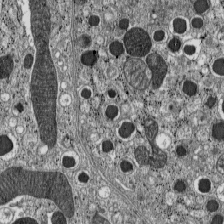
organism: C57BL Mouse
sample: Pancreatic islet